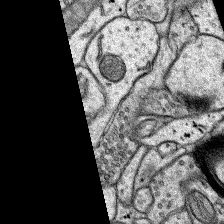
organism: Rat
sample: Hippocampus